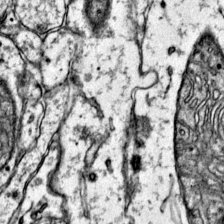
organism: Mouse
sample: Primary visual cortex